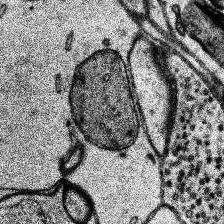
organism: Human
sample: Temporal Lobe